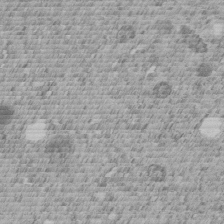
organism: C. elegans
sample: C. elegans embryo early stage